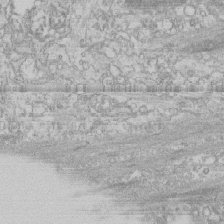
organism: Human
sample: CRL-1474